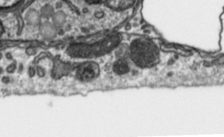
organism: Toxoplasma gondii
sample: Parasites in a vacuole inside a host cell